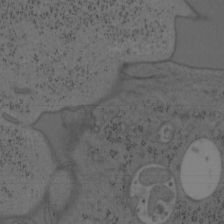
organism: Mouse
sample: OT-I killer T cells with ID8 ovarian cancer cells